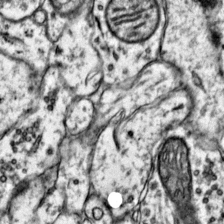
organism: Mouse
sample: Primary visual cortex